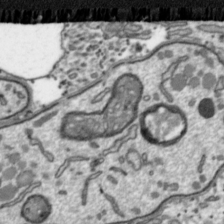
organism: Toxoplasma gondii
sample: Parasites in a vacuole inside a host cell